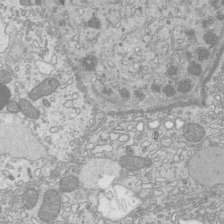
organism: Mouse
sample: Cilia; mouse epididymis